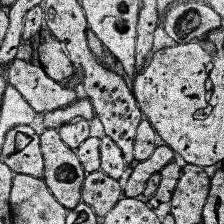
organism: Human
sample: Temporal Lobe